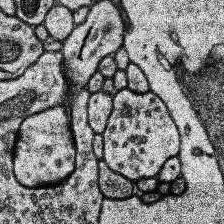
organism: Human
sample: Temporal Lobe